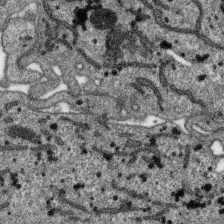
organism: Human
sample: Lung epithelial cells infected with SARS-CoV-2